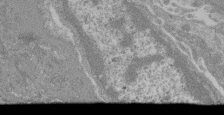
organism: Mouse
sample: Glomerulus